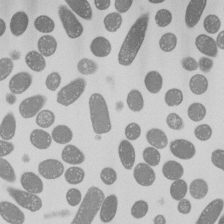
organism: E. coli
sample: Bacterial nucleoid